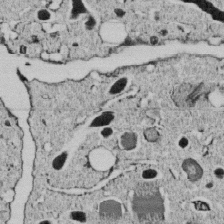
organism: C. elegans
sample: C. elegans embryo early stage